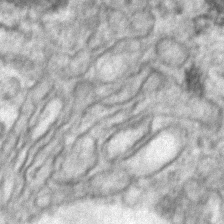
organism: Human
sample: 1205lu cells